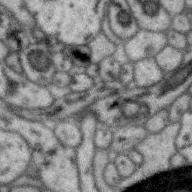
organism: Zebra finch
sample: Brain